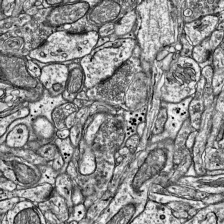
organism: Mouse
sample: Visual Cortex